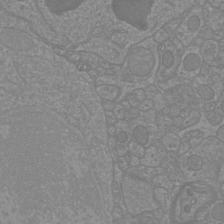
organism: Mouse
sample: Cortical neurons